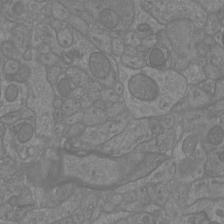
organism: Mouse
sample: Cortical neurons